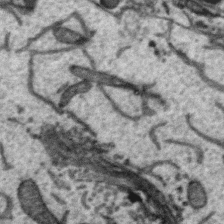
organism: Zebra finch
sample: Brain